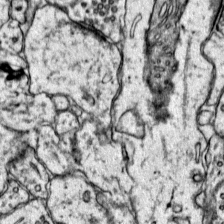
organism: Mouse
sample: Primary visual cortex